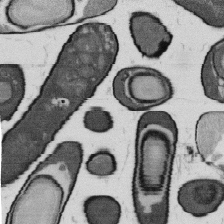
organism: B. subtilis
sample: Bacterial spore